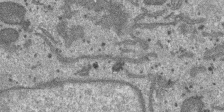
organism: Human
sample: Lung epithelial cells infected with SARS-CoV-2